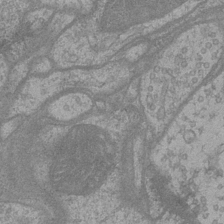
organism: Drosophila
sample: Optic medulla